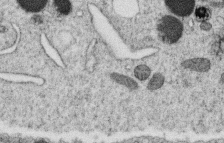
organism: C. elegans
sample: C. elegans oocyte; sperm cells